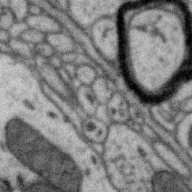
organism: Zebra finch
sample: Brain